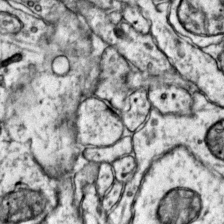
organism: Mouse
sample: Primary visual cortex